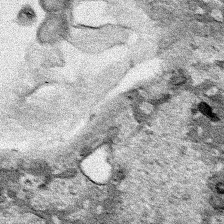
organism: Human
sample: Mitochondria in HCT116 cells